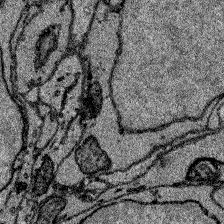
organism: Zebrafish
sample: Larval olfactory bulb